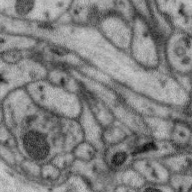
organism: Zebra finch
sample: Brain